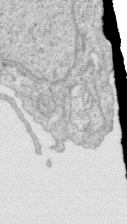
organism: Human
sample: HeLa cell HIV synapse